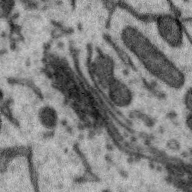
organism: Zebra finch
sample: Brain